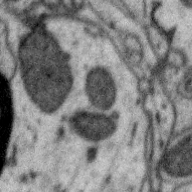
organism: Zebra finch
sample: Brain